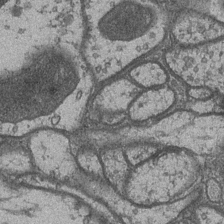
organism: Drosophila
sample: Optic medulla